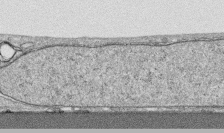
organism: Human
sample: CRL-1474